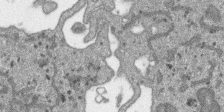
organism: Human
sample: Lung epithelial cells infected with SARS-CoV-2